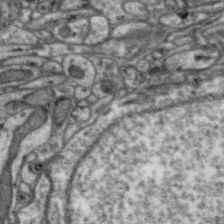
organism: Zebra finch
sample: Brain